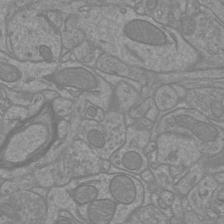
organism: Mouse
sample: Cortical neurons